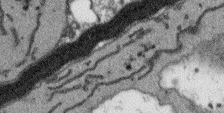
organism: Arabidopsis thaliana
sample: Root tip